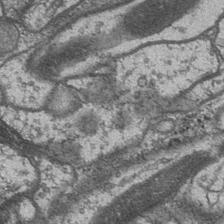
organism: Drosophila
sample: Optic medulla